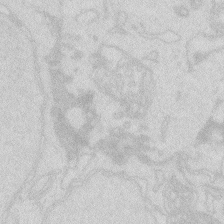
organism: Zebrafish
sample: Macrophage